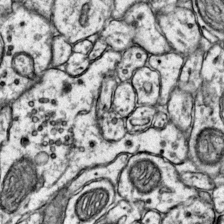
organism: Mouse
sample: Primary visual cortex